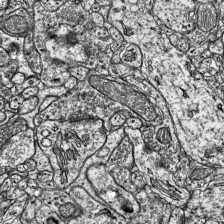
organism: Mouse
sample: Visual Cortex